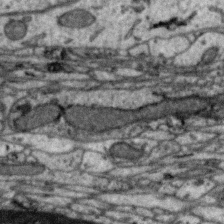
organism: Zebra finch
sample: Brain